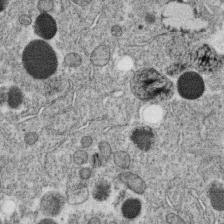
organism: C. elegans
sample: C. elegans oocyte; sperm cells